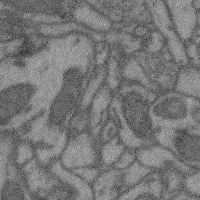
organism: Mouse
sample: Cerebral cortex